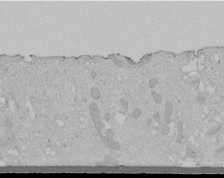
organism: Human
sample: Melanocyte Keratinocyte synapse skin construct